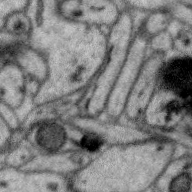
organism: Zebra finch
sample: Brain